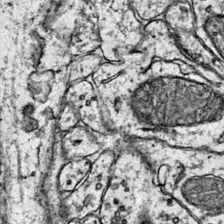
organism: Mouse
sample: Primary visual cortex